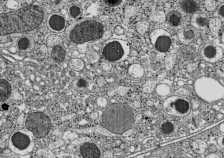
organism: C57BL Mouse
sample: Pancreatic islet